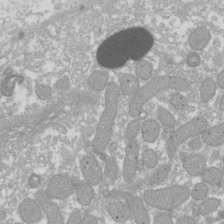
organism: Xenopus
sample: Cilia; centrioles in frog embryo cells